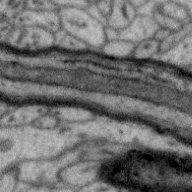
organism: Zebra finch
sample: Brain